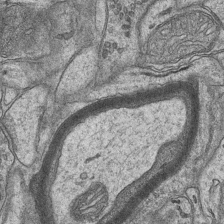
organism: Mouse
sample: CA1 Hippocampus